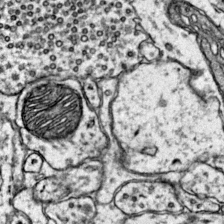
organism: Mouse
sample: Primary visual cortex